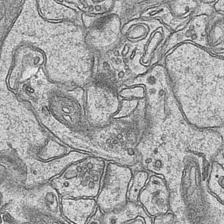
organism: Mouse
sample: CA1 Hippocampus